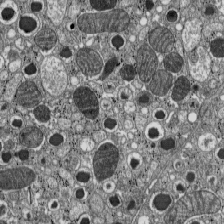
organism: C57BL Mouse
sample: Pancreatic islet